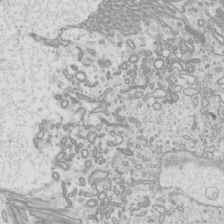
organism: Mouse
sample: Cilia; mouse epididymis